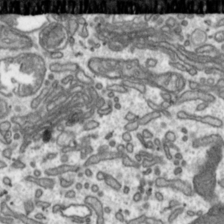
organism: Toxoplasma gondii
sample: Parasites in a vacuole inside a host cell